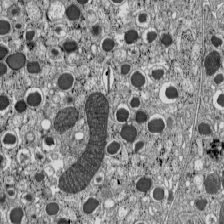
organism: C57BL Mouse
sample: Pancreatic islet